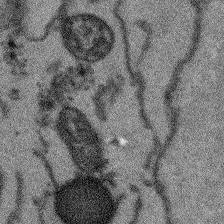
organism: Arabidopsis thaliana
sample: Root tip